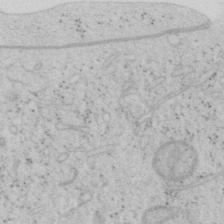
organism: Human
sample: HeLa cells